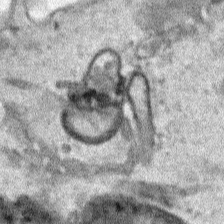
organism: Human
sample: Mitochondria in HCT116 cells